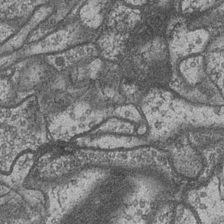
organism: Drosophila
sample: Optic medulla